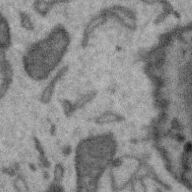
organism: Zebra finch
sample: Brain